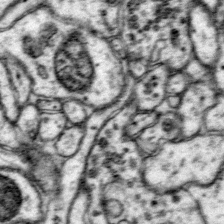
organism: Mouse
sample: Primary visual cortex